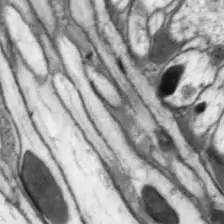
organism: Drosophila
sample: Optic lobe